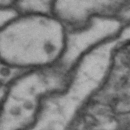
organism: Drosophila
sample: Brain